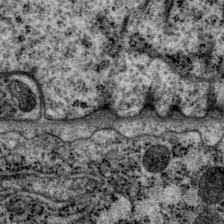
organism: P. pacificus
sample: Pharynx